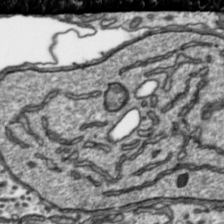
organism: Toxoplasma gondii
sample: Parasites in a vacuole inside a host cell